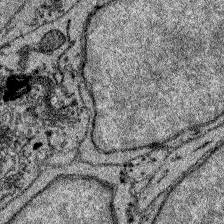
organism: Zebrafish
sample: Larval olfactory bulb